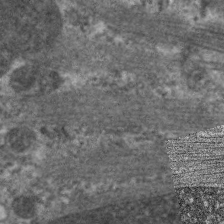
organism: C. elegans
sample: Pharynx